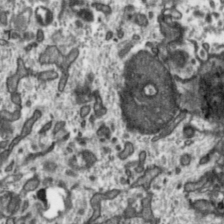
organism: Toxoplasma gondii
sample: Parasites in a vacuole inside a host cell